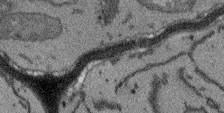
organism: Arabidopsis thaliana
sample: Root tip